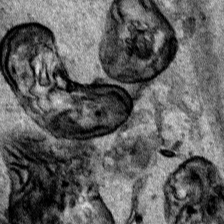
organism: Human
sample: Mitochondria in HCT116 cells